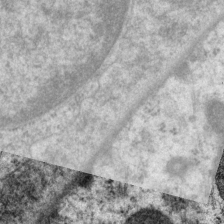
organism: P. pacificus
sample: Pharynx